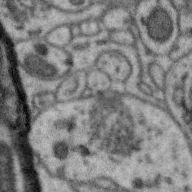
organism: Zebra finch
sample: Brain